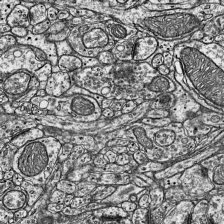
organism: Mouse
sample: Visual Cortex